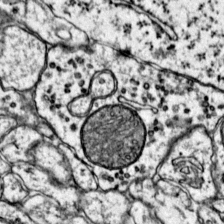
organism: Mouse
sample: Primary visual cortex